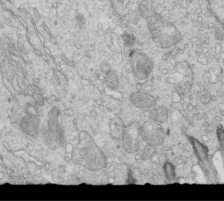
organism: Mouse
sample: Multiciliated cells